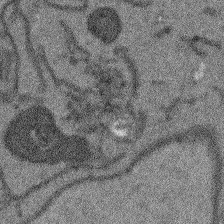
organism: Arabidopsis thaliana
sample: Root tip